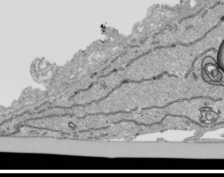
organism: Human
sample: Mitochondria in HCT116 cells